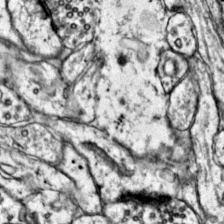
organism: Mouse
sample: Primary visual cortex